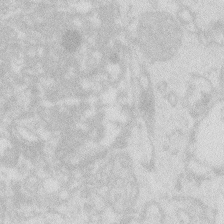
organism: Zebrafish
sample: Macrophage